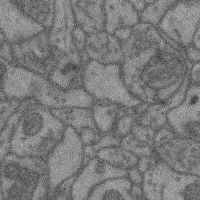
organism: Mouse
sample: Cerebral cortex